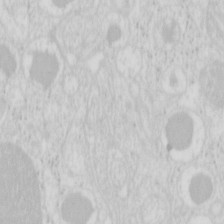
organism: Mouse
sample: Pancreas